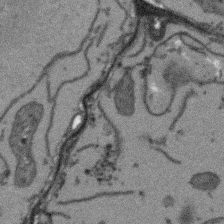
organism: Arabidopsis thaliana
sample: Root tip